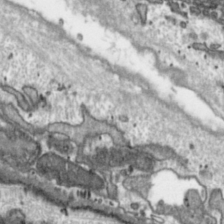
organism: Toxoplasma gondii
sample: Parasites in a vacuole inside a host cell